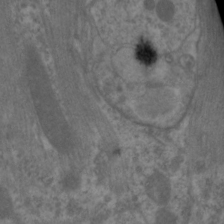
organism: C. elegans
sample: Pharynx